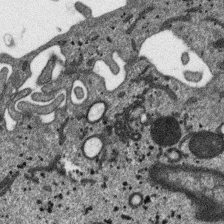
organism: Human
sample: Lung epithelial cells infected with SARS-CoV-2